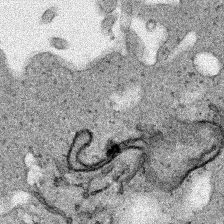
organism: Human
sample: Mitochondria in HCT116 cells